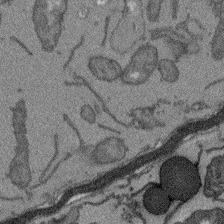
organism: Arabidopsis thaliana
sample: Root tip